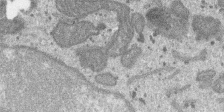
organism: Human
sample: Lung epithelial cells infected with SARS-CoV-2